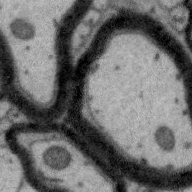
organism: Zebra finch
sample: Brain